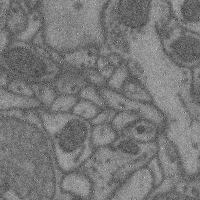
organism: Mouse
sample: Cerebral cortex